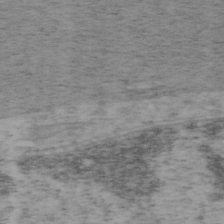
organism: Mouse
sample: OT-I killer T cells with ID8 ovarian cancer cells